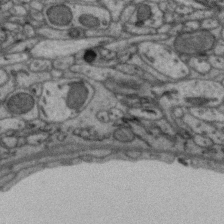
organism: Zebra finch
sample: Brain